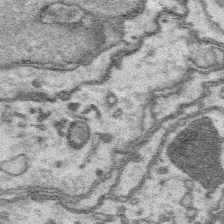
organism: Platynereis dumerilii